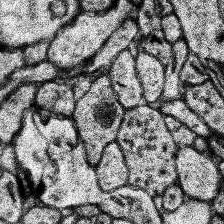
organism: Human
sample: Temporal Lobe